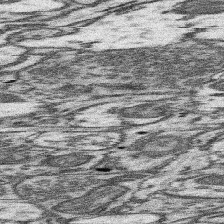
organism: Mouse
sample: Somatosensory cortex neuropil